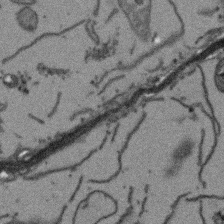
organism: Arabidopsis thaliana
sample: Root tip